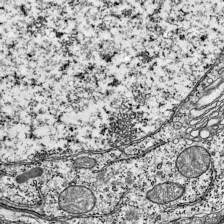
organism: Mouse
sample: Visual Cortex